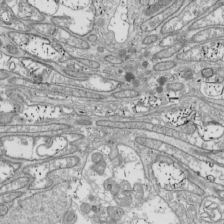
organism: Drosophila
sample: Cell division; meiosis; drosophila spermatocytes